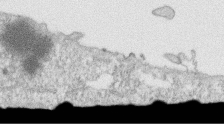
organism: Human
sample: HeLa cell HIV synapse